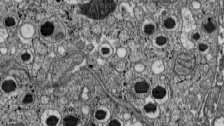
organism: C57BL Mouse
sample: Pancreatic islet